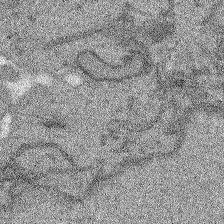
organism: Human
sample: HeLa cells